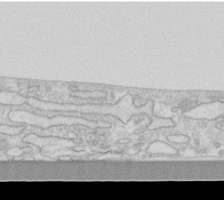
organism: Human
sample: Fibroblast cells